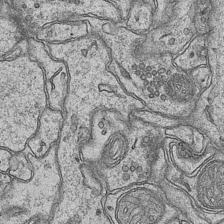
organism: Mouse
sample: CA1 Hippocampus